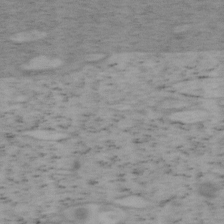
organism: Mouse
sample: OT-I killer T cells with ID8 ovarian cancer cells